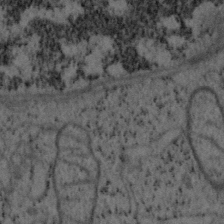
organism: Human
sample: HeLa cells